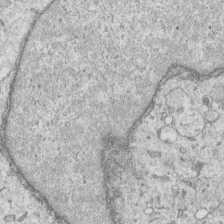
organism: Human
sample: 1205lu cells